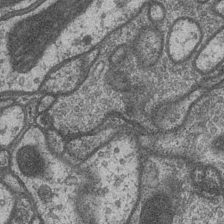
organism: Drosophila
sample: Optic medulla